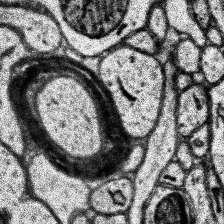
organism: Human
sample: Temporal Lobe